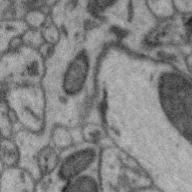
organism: Zebra finch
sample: Brain